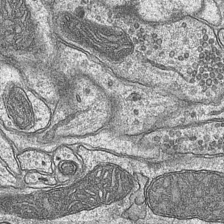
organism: Mouse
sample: CA1 Hippocampus